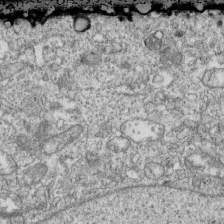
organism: Human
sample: HeLa cell HIV synapse